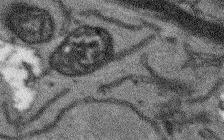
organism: Arabidopsis thaliana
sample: Root tip